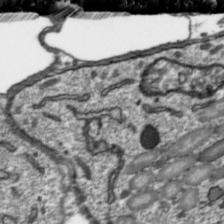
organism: Toxoplasma gondii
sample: Parasites in a vacuole inside a host cell